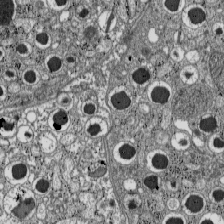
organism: C57BL Mouse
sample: Pancreatic islet